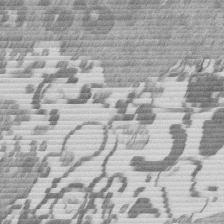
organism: Mouse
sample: Dividing mouse embryo 1 cell stage